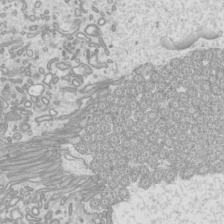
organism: Mouse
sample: Cilia; mouse epididymis